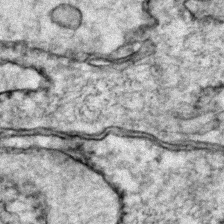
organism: Zebrafish